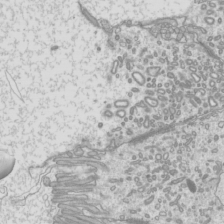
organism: Mouse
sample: Cilia; mouse epididymis